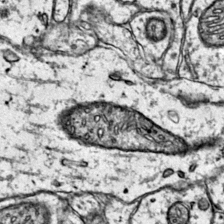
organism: Mouse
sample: Primary visual cortex